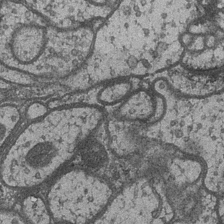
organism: Drosophila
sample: Optic medulla